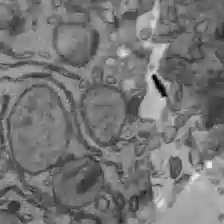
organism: C57BL Mouse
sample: Liver